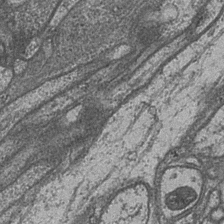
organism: Drosophila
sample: Optic medulla